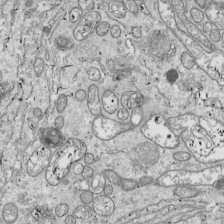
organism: Drosophila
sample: Cell division; meiosis; drosophila spermatocytes